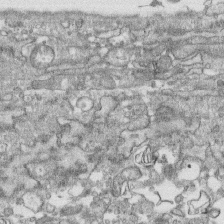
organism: Human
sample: CRL-1474